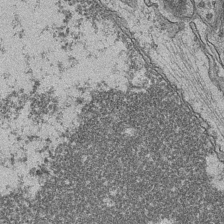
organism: Mouse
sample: CA1 Hippocampus